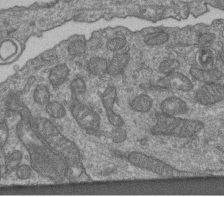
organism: Human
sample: Retinal organoid Rod and Cone cells